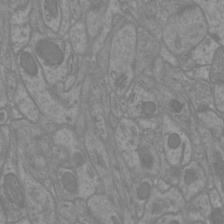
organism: Mouse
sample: Cortical neurons